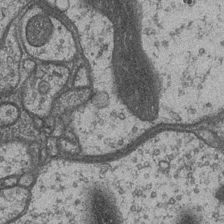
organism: Drosophila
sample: Optic medulla